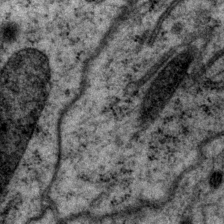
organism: P. pacificus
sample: Pharynx